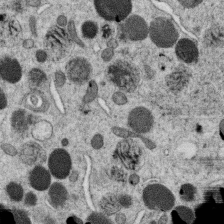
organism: C. elegans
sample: C. elegans oocyte; sperm cells